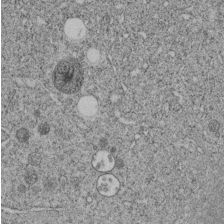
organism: C. elegans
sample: C. elegans embryo early stage